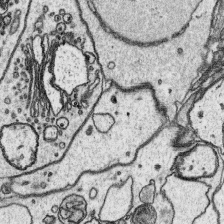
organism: Platynereis dumerilii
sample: Parapodia